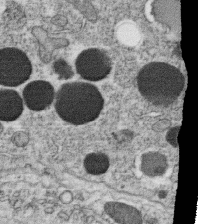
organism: C. elegans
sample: C. elegans oocyte; sperm cells